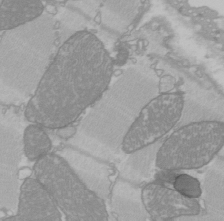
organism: C57BL Mouse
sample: Heart